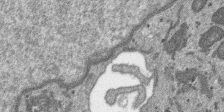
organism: Human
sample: Lung epithelial cells infected with SARS-CoV-2